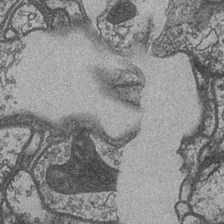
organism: Drosophila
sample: Optic medulla